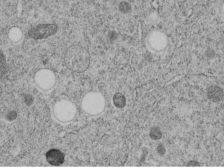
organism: C. elegans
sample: C. elegans embryo early stage